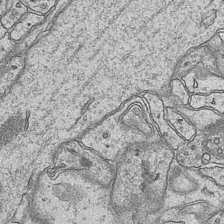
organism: Mouse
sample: CA1 Hippocampus